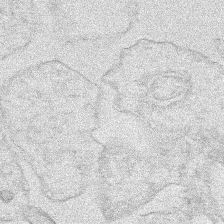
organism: Human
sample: Mitochondria in HCT116 cells